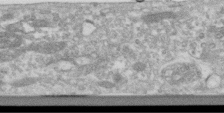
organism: Human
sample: Centriole in RPE cells